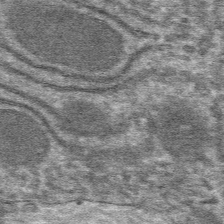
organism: Mouse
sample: Mouse hepatocytes